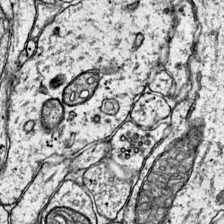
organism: Mouse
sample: Primary visual cortex